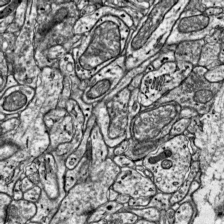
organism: Mouse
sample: Visual Cortex